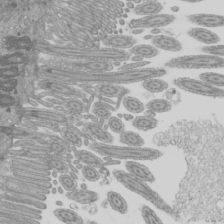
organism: Mouse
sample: Cilia; mouse epididymis